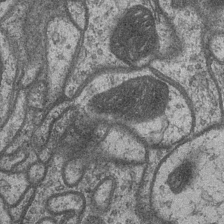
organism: Drosophila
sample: Optic medulla